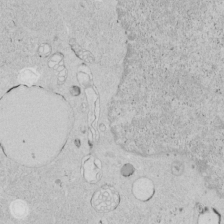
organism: Human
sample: Mitochondria in HCT116 cells